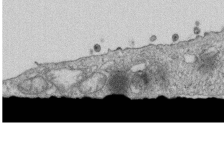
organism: Human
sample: HeLa cell HIV synapse